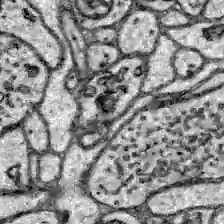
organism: Zebrafish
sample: Brain